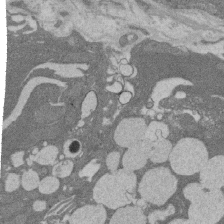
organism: Rat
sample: Salivary granule